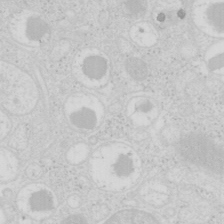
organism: Mouse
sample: Pancreas